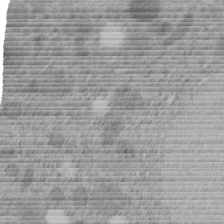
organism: C. elegans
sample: C. elegans embryo early stage